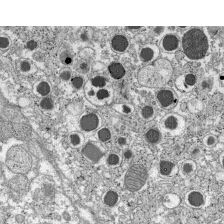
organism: C57BL Mouse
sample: Pancreatic islet